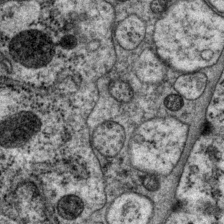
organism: P. pacificus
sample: Pharynx